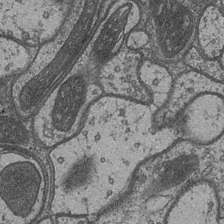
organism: Drosophila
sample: Optic medulla